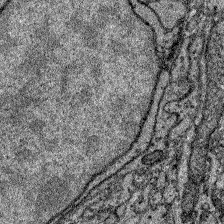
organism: Zebrafish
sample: Larval olfactory bulb